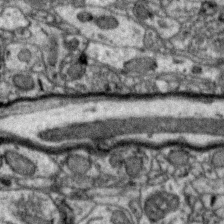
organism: Zebra finch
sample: Brain